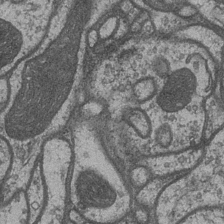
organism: Drosophila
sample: Optic medulla